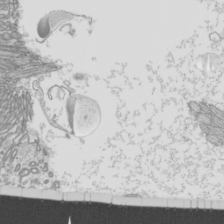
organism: Mouse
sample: Cilia; mouse epididymis